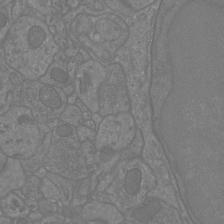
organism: Mouse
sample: Cortical neurons